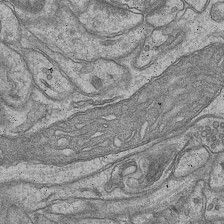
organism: Mouse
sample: CA1 Hippocampus